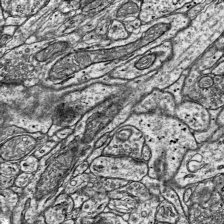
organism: Mouse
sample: Visual Cortex